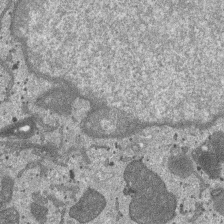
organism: Human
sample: Lung epithelial cells infected with SARS-CoV-2